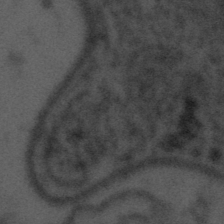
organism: Tuwongella immobilis